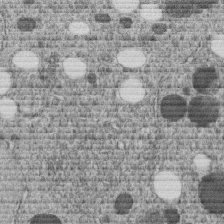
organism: C. elegans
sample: C. elegans embryo early stage